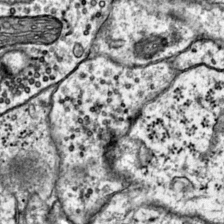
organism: Mouse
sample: Primary visual cortex